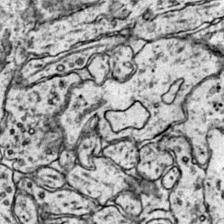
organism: Mouse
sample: Primary visual cortex